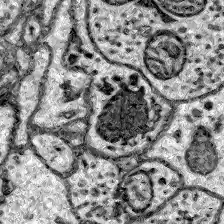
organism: Zebrafish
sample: Brain